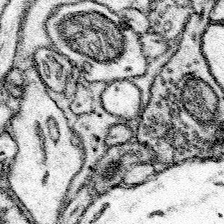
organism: Mouse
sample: Somatosensory cortex neuropil